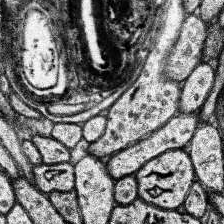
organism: Human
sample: Temporal Lobe